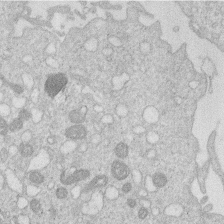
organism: Human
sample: Macrophage cells